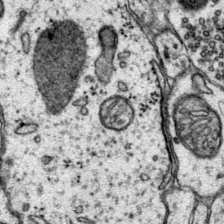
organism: Mouse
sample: Primary visual cortex